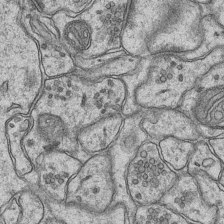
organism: Mouse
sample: CA1 Hippocampus